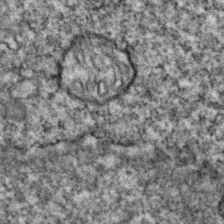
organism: Zebrafish